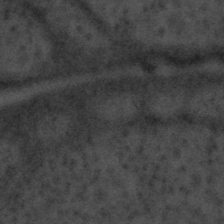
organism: Tuwongella immobilis